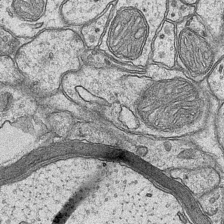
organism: Mouse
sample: CA1 Hippocampus